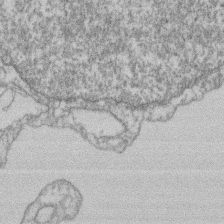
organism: Mouse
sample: T cell stromal cell synapse